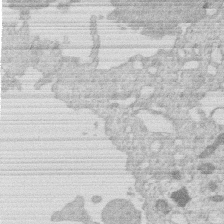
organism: Human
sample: Macrophage cells